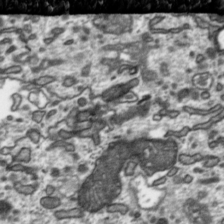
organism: Toxoplasma gondii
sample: Parasites in a vacuole inside a host cell